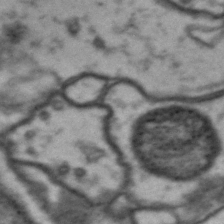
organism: Drosophila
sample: Brain